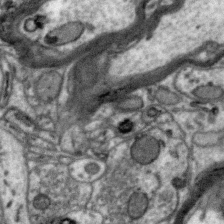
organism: Zebra finch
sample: Brain